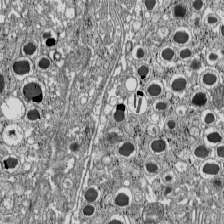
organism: C57BL Mouse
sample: Pancreatic islet